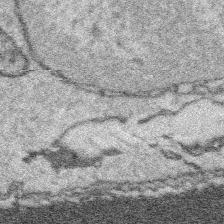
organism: Platynereis dumerilii